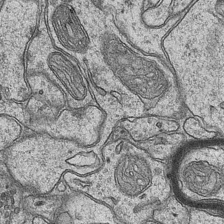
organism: Mouse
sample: CA1 Hippocampus